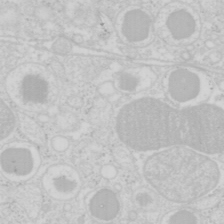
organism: Mouse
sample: Pancreas